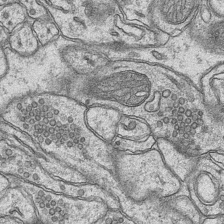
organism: Mouse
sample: CA1 Hippocampus